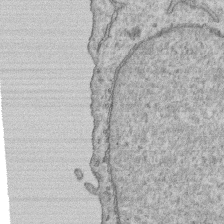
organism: Human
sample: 1205lu cells